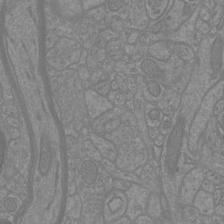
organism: Mouse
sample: Cortical neurons